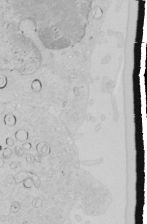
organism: Human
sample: Mitochondria in HCT116 cells